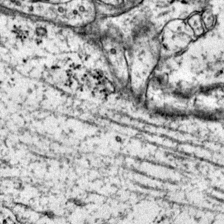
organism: Mouse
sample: Primary visual cortex